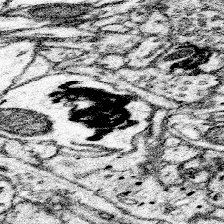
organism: Mouse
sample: Somatosensory cortex neuropil